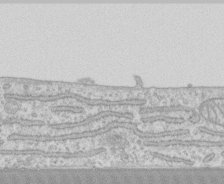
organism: Human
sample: CRL-1474